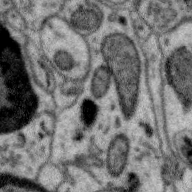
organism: Zebra finch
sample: Brain